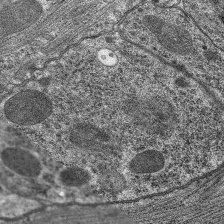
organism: C. elegans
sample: Pharynx